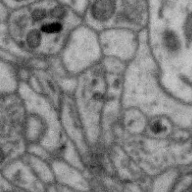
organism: Zebra finch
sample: Brain